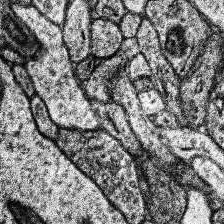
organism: Human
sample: Temporal Lobe